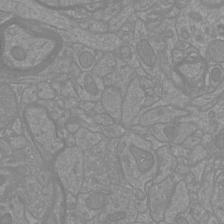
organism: Mouse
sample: Cortical neurons